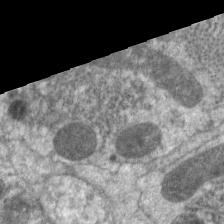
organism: C. elegans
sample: Pharynx